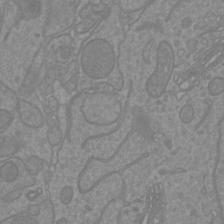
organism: Mouse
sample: Cortical neurons